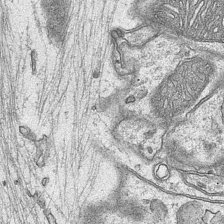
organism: Mouse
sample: CA1 Hippocampus